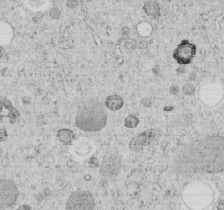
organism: C. elegans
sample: C. elegans embryo early stage